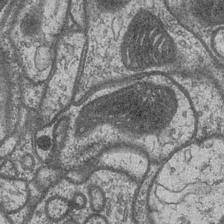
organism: Drosophila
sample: Optic medulla